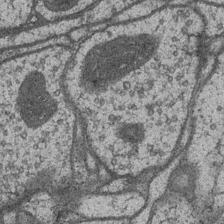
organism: Drosophila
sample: Optic medulla